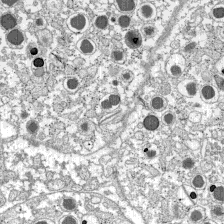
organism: C57BL Mouse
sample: Pancreatic islet